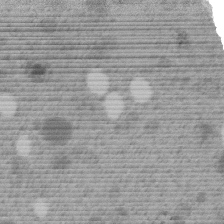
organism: C. elegans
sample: C. elegans embryo early stage